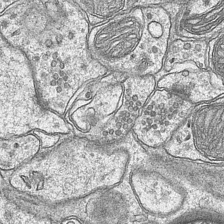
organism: Mouse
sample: CA1 Hippocampus